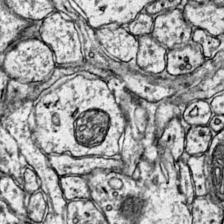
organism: Mouse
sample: Primary visual cortex